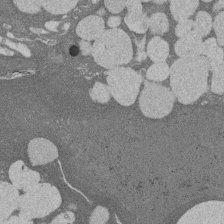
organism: Rat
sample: Salivary granule